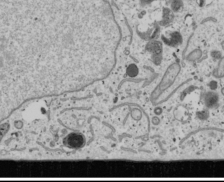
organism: Human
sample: Mitochondria in U2OS cells